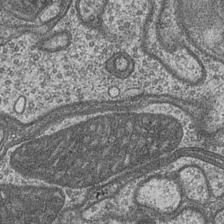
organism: Drosophila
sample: Optic medulla